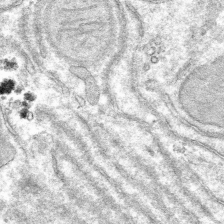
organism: Mouse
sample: Mouse hepatocytes